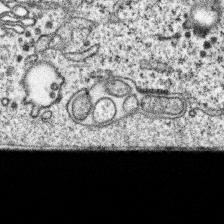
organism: Human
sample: HeLa cells